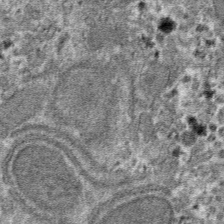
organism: Mouse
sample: Mouse hepatocytes